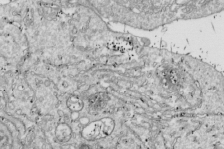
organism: Drosophila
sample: Cell division; meiosis; drosophila spermatocytes